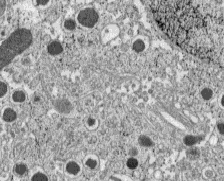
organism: C57BL Mouse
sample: Pancreatic islet